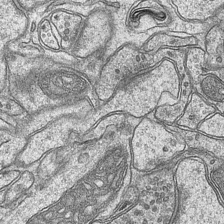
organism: Mouse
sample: CA1 Hippocampus